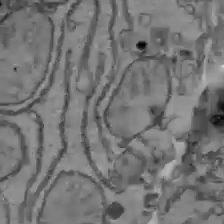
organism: C57BL Mouse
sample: Liver